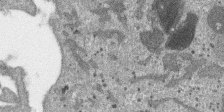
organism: Human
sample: Lung epithelial cells infected with SARS-CoV-2